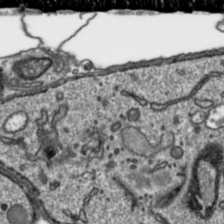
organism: Toxoplasma gondii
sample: Parasites in a vacuole inside a host cell